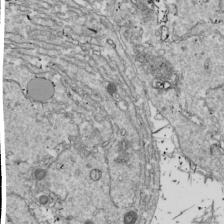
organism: Drosophila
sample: Cell division; meiosis; drosophila spermatocytes